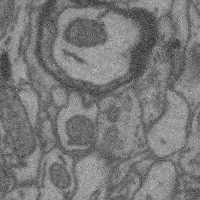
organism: Mouse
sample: Cerebral cortex